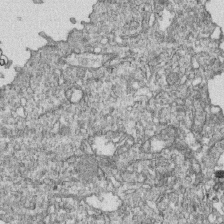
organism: Human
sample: HeLa cell HIV synapse